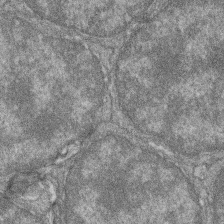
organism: Zebrafish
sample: Cilia; retinal pigment epithelium